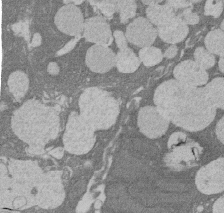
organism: Rat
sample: Salivary granule